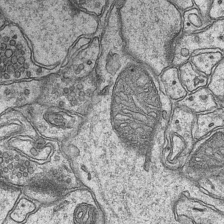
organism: Mouse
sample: CA1 Hippocampus